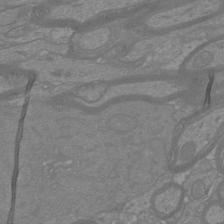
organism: Mouse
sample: Cortical neurons